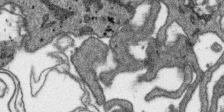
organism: Human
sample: Lung epithelial cells, uninfected (mock) control